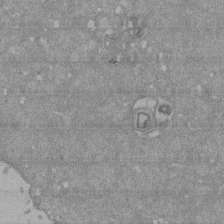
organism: Mouse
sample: ED-1 cell nuclei; centrioles